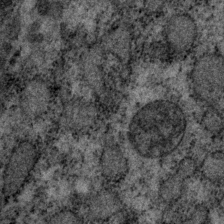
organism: P. pacificus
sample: Pharynx